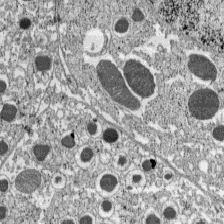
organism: C57BL Mouse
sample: Pancreatic islet